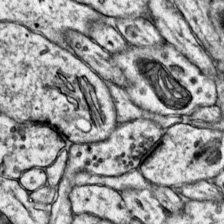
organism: Mouse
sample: Primary visual cortex